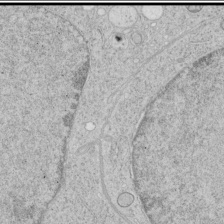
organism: Human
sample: Mitochondria in HCT116 cells